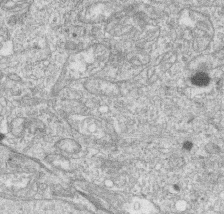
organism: Human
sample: HeLa cell HIV synapse